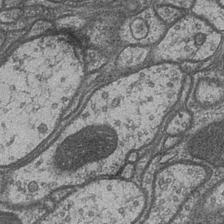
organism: Drosophila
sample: Optic medulla